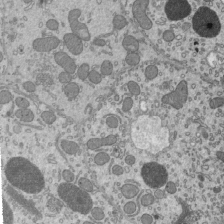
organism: Mouse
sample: Mouse epididymis efferent ductule cilia